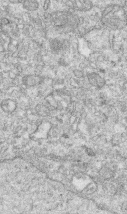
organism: Human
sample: HeLa cell HIV synapse